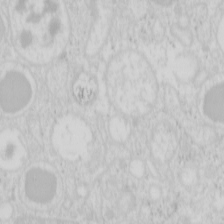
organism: Mouse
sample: Pancreas